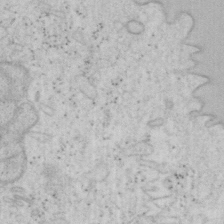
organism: Human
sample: HeLa cells